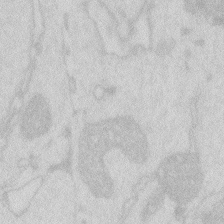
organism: Zebrafish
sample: Macrophage